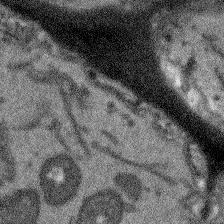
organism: Arabidopsis thaliana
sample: Root tip